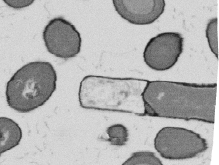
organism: B. subtilis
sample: Bacterial spore